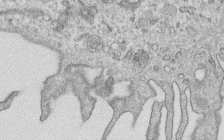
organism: Human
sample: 1205lu cells